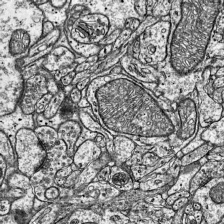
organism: Mouse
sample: Visual Cortex